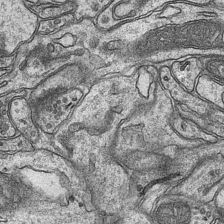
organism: Mouse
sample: CA1 Hippocampus